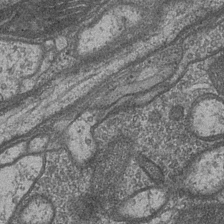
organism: Drosophila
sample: Optic medulla